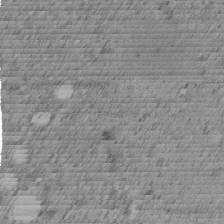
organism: C. elegans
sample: C. elegans embryo early stage